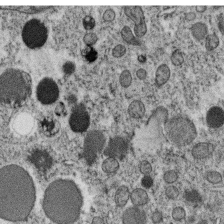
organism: C. elegans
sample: C. elegans oocyte; sperm cells